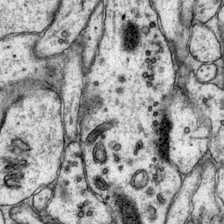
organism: Mouse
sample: Primary visual cortex